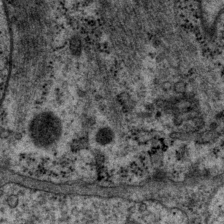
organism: P. pacificus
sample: Pharynx